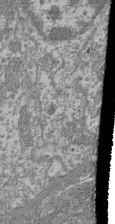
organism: Mouse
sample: Glomerulus